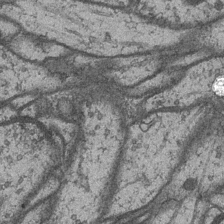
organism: Drosophila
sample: Optic medulla